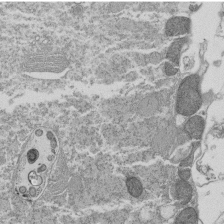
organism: Tetrahymena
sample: Cilia in tetrahymena